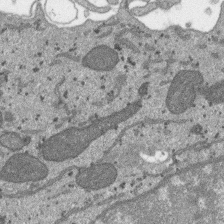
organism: Human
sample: Lung epithelial cells infected with SARS-CoV-2